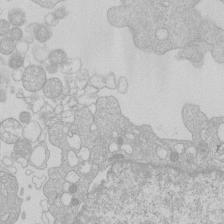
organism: Human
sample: Macrophage cells